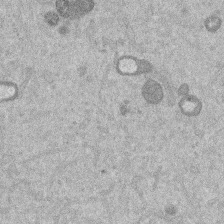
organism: Mouse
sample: Dividing mouse embryo 1 cell stage